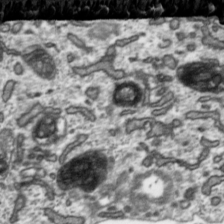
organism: Toxoplasma gondii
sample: Parasites in a vacuole inside a host cell